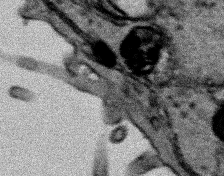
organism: Human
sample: Mitochondria in HCT116 cells